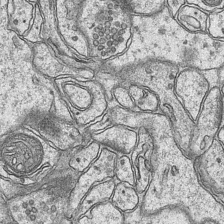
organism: Mouse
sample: CA1 Hippocampus